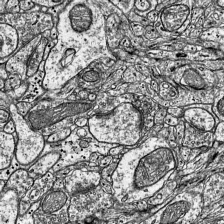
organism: Mouse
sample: Visual Cortex